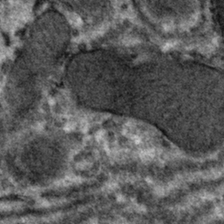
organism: Mouse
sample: Mouse hepatocytes